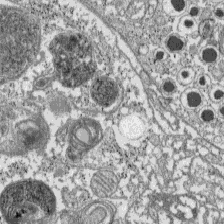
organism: C57BL Mouse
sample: Pancreatic islet